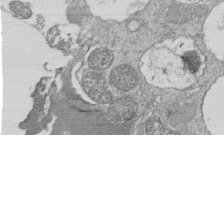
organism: Tetrahymena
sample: Cilia in tetrahymena